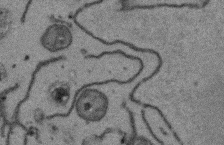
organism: Arabidopsis thaliana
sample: Root tip